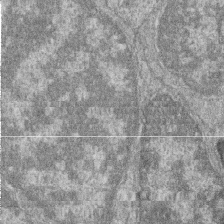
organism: Zebrafish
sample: Cilia; retinal pigment epithelium